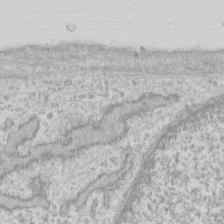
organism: Human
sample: Fibroblast cells